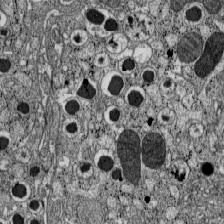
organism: C57BL Mouse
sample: Pancreatic islet